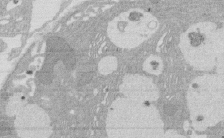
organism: Rat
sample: Salivary granule